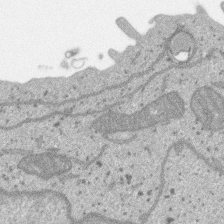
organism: Human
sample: Lung epithelial cells infected with SARS-CoV-2